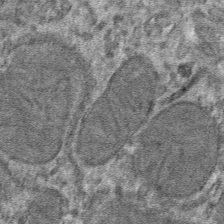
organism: Mouse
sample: Mouse hepatocytes